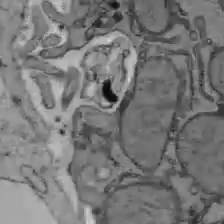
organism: C57BL Mouse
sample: Liver